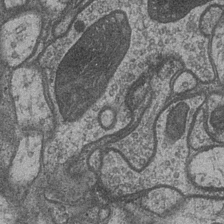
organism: Drosophila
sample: Optic medulla